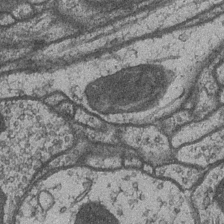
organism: Drosophila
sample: Optic medulla